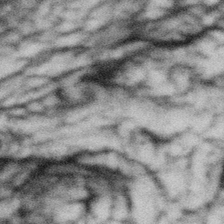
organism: Gemmata obscuriglobus